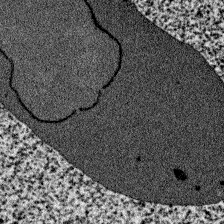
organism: Zebrafish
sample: Larval olfactory bulb